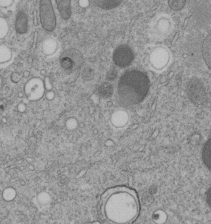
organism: C. elegans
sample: C. elegans embryo early stage